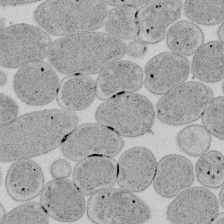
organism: E. coli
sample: Bacterial nucleoid